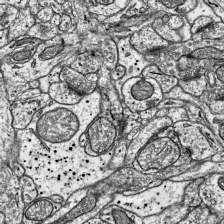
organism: Mouse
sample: Visual Cortex